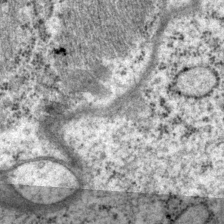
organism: P. pacificus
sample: Pharynx